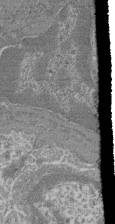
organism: Mouse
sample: Glomerulus